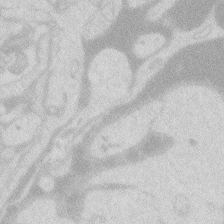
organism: Zebrafish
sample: Macrophage